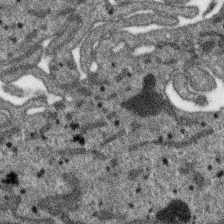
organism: Human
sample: Lung epithelial cells infected with SARS-CoV-2